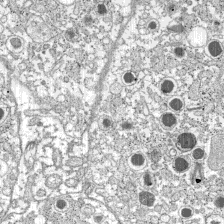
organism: C57BL Mouse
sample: Pancreatic islet